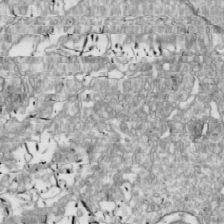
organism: Drosophila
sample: Cell division; meiosis; drosophila spermatocytes